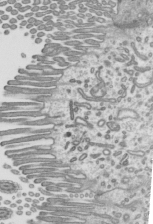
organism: Mouse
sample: Mouse epididymis efferent ductule cilia